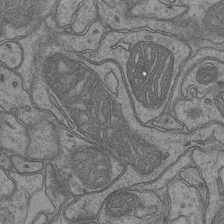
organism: Mouse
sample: CA1 Hippocampus